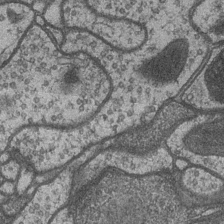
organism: Drosophila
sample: Optic medulla